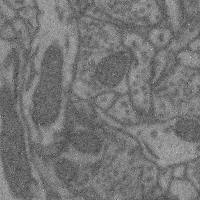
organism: Mouse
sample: Cerebral cortex